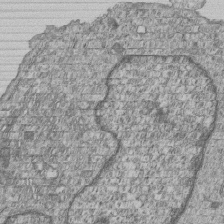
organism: Human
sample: MDA-MB-231 cells